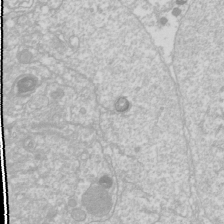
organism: Drosophila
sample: Cell division; meiosis; drosophila spermatocytes